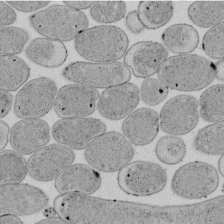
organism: E. coli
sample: Bacterial nucleoid